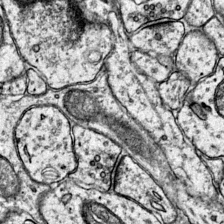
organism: Mouse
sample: Primary visual cortex